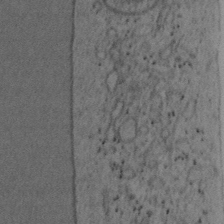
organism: Human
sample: HeLa cells